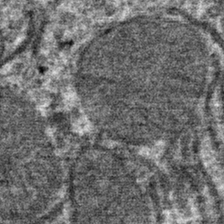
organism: Mouse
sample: Mouse hepatocytes